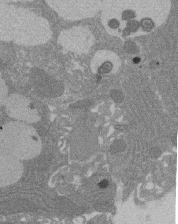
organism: Rat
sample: Salivary granule